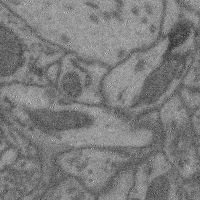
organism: Mouse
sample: Cerebral cortex